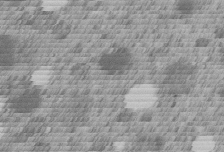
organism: C. elegans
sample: C. elegans embryo early stage